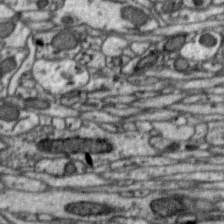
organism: Zebra finch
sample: Brain